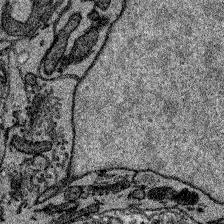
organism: Zebrafish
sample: Larval olfactory bulb